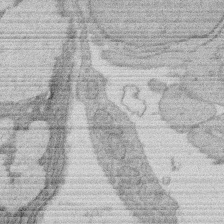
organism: Rat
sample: Salivary granule